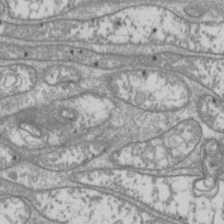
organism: Drosophila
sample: Cell division; meiosis; drosophila spermatocytes